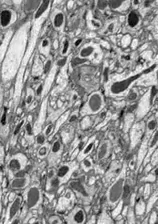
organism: Drosophila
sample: Optic lobe